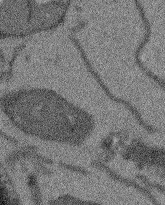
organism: Arabidopsis thaliana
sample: Root tip